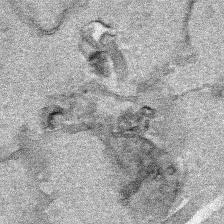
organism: Human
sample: Mitochondria in HCT116 cells